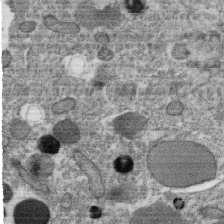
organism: C. elegans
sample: C. elegans oocyte; sperm cells